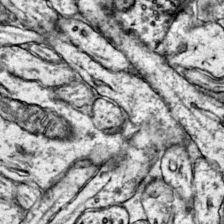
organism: Mouse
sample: Primary visual cortex